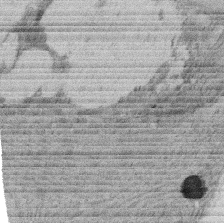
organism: Rat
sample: Salivary granule